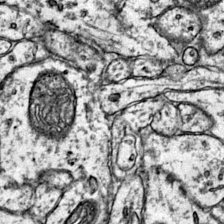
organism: Mouse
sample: Primary visual cortex